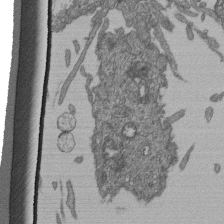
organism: Human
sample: Retinal organoid Rod and Cone cells